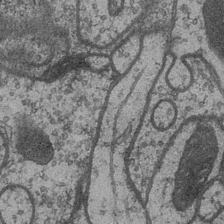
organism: Drosophila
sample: Optic medulla